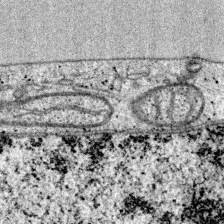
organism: Human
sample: HeLa cells